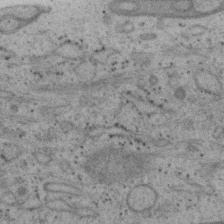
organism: Human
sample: HeLa cells